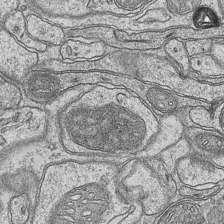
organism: Mouse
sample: CA1 Hippocampus